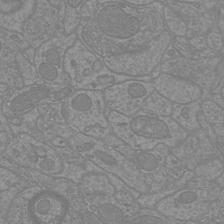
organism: Mouse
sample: Cortical neurons